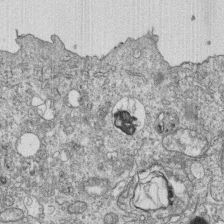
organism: Human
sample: HeLa cell HIV synapse